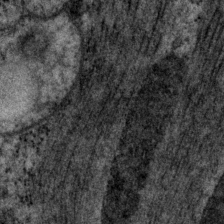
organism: P. pacificus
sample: Pharynx